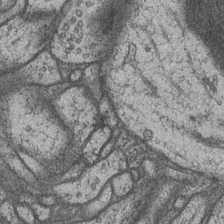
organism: Drosophila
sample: Optic medulla